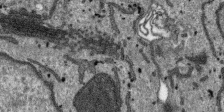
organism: Human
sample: Lung epithelial cells, uninfected (mock) control